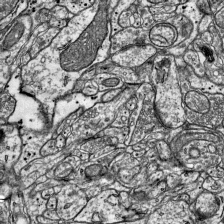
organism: Mouse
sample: Visual Cortex